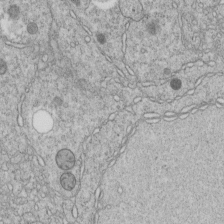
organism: C. elegans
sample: C. elegans embryo early stage